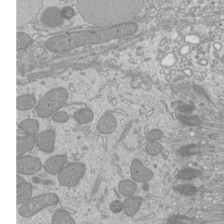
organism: Mouse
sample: Cilia; mouse epididymis